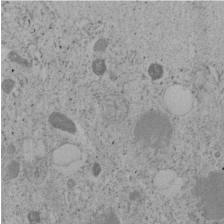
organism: C. elegans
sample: C. elegans embryo early stage